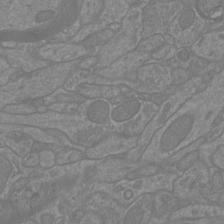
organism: Mouse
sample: Cortical neurons